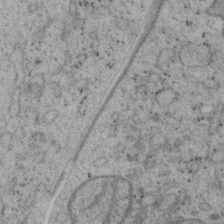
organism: Human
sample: HeLa cells